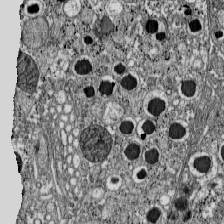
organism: C57BL Mouse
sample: Pancreatic islet